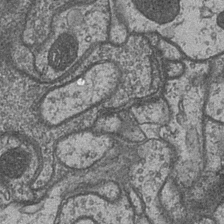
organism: Drosophila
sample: Optic medulla